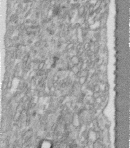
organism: Human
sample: Centriole in fibroblast cells